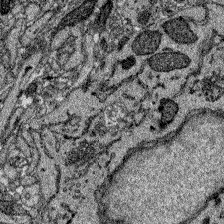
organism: Zebrafish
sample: Larval olfactory bulb